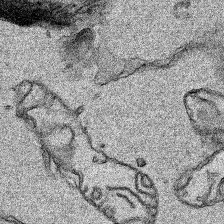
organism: Human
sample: Mitochondria in HCT116 cells